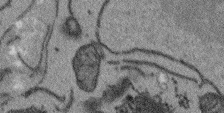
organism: Arabidopsis thaliana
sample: Root tip